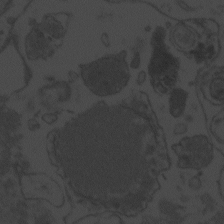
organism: Zebrafish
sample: Macrophage infected with Toxoplasma gondii